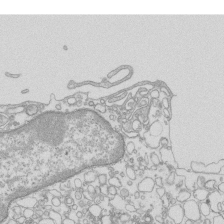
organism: Mouse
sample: Macrophages